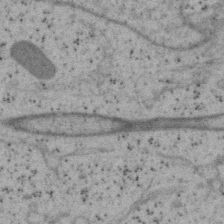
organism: Human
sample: HeLa cells